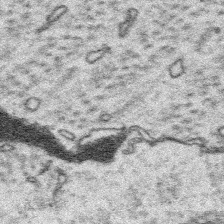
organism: Platynereis dumerilii